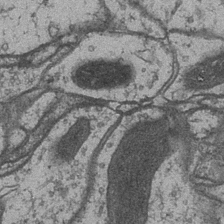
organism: Drosophila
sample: Optic medulla